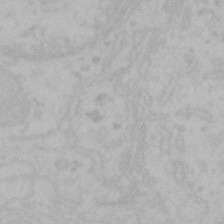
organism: Mouse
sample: Choroid plexus